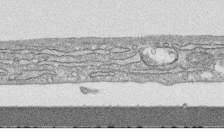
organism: Human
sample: CRL-1474